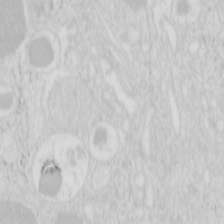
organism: Mouse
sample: Pancreas